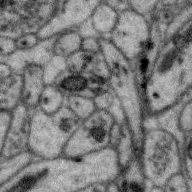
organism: Zebra finch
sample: Brain